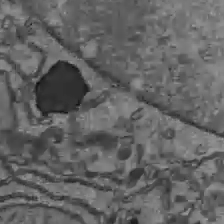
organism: C57BL Mouse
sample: Liver